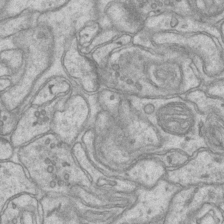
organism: Mouse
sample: CA1 Hippocampus